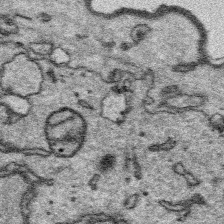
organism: Platynereis dumerilii